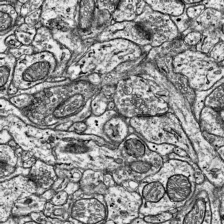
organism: Mouse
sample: Visual Cortex